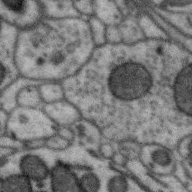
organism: Zebra finch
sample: Brain